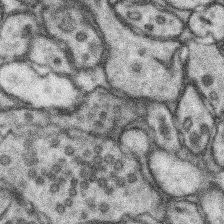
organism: Mouse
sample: Somatosensory cortex neuropil